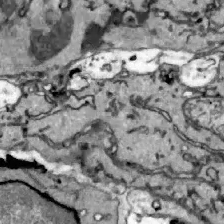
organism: Zebrafish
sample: Actinotrichia fibers